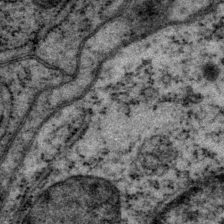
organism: P. pacificus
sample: Pharynx